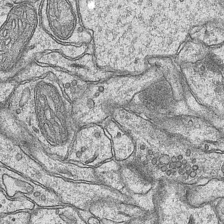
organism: Mouse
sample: CA1 Hippocampus